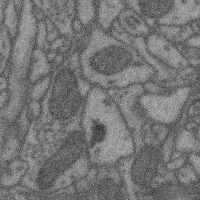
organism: Mouse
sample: Cerebral cortex